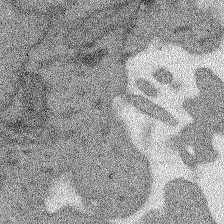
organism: Human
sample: HeLa cells